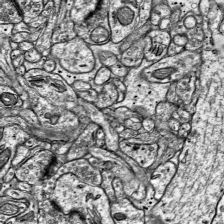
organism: Mouse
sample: Visual Cortex